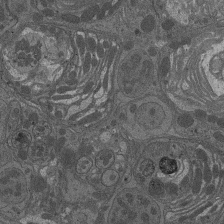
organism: Drosophila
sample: Antenna